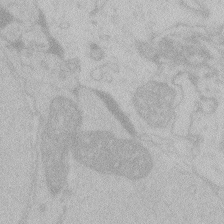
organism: Zebrafish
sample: Macrophage infected with Toxoplasma gondii